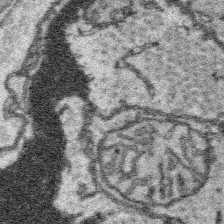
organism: Platynereis dumerilii